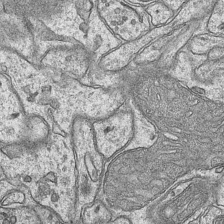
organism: Mouse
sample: CA1 Hippocampus